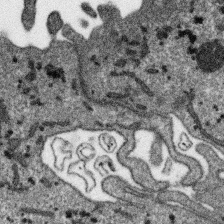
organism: Human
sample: Lung epithelial cells infected with SARS-CoV-2